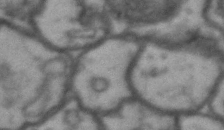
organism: Drosophila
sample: Brain